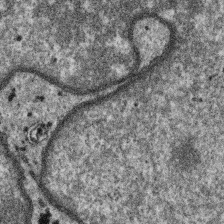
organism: Human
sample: Lung epithelial cells infected with SARS-CoV-2